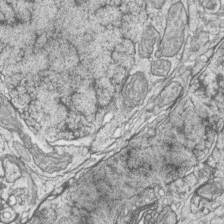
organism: Zebrafish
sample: synaptic ribbons in rod cells and cone cells